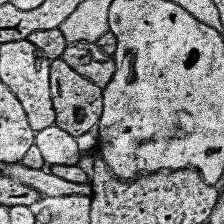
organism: Human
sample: Temporal Lobe